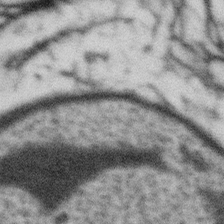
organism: Gemmata obscuriglobus